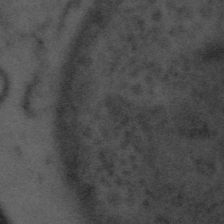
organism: Tuwongella immobilis